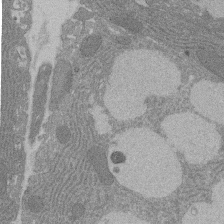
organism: Rat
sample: Salivary granule